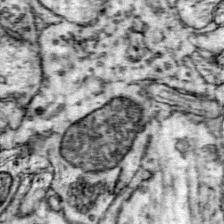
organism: Mouse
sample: Primary visual cortex